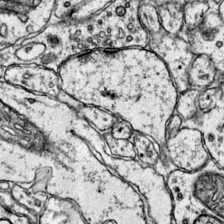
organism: Mouse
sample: Primary visual cortex